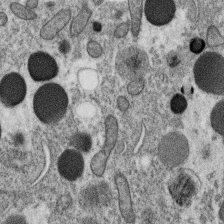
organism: C. elegans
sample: C. elegans oocyte; sperm cells